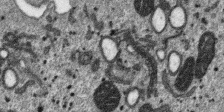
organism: Human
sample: Lung epithelial cells infected with SARS-CoV-2